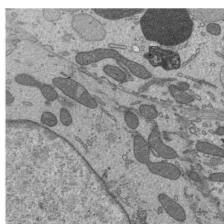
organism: Mouse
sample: Mouse epididymis efferent ductule cilia